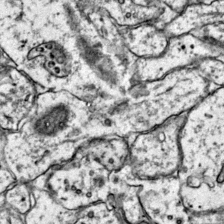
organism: Mouse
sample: Primary visual cortex